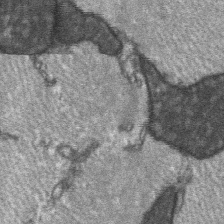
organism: C57BL Mouse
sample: Soleus